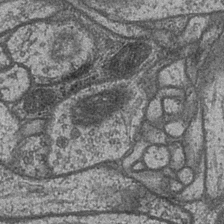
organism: Drosophila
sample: Optic medulla